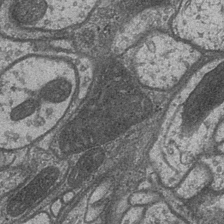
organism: Drosophila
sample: Optic medulla